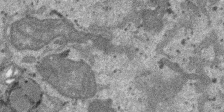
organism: Human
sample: Lung epithelial cells infected with SARS-CoV-2